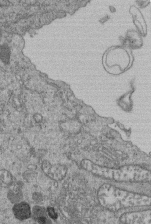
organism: Human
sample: Retinal organoid Rod and Cone cells